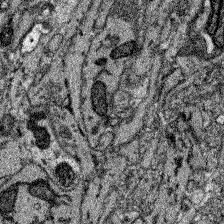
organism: Zebrafish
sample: Larval olfactory bulb